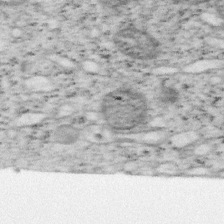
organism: Mouse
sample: OT-I killer T cells with ID8 ovarian cancer cells